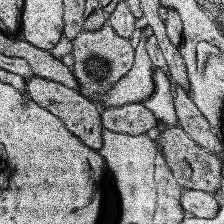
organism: Human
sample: Temporal Lobe